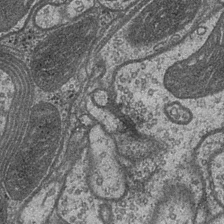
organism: Drosophila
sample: Optic medulla